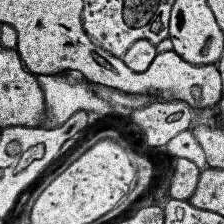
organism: Human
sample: Temporal Lobe